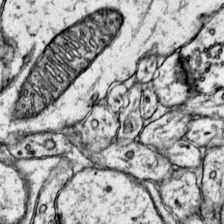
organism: Mouse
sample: Primary visual cortex